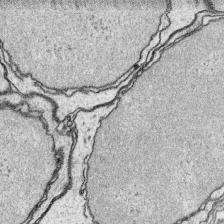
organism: Platynereis dumerilii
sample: Parapodia